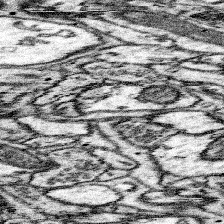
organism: Mouse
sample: Somatosensory cortex neuropil